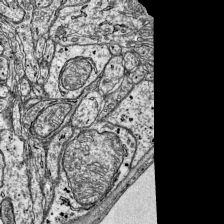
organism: Mouse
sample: Visual Cortex